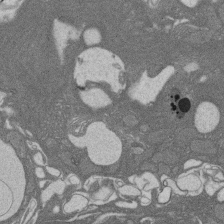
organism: Rat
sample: Salivary granule